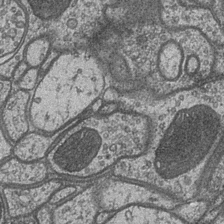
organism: Drosophila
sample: Optic medulla